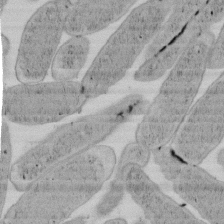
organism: E. coli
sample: Bacterial nucleoid